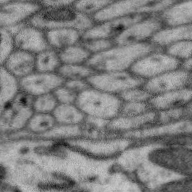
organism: Zebra finch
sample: Brain